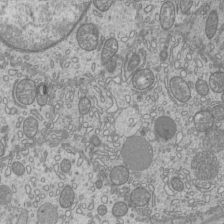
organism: Mouse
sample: Cilia; mouse epididymis